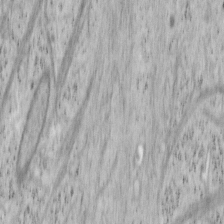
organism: Human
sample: HeLa cells